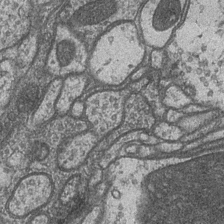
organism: Drosophila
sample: Optic medulla